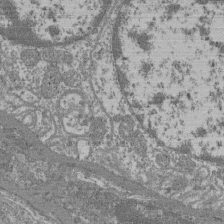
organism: Mouse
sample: Glomerulus